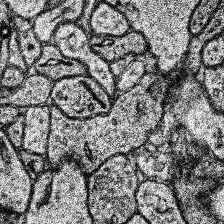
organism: Human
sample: Temporal Lobe